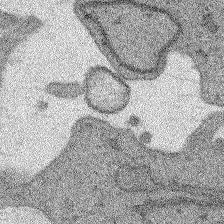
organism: Human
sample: HeLa cells